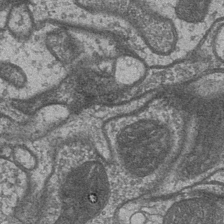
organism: Drosophila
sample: Optic medulla